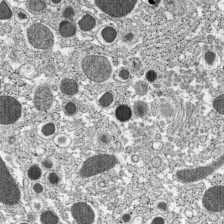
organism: C57BL Mouse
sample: Pancreatic islet